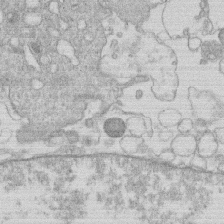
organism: Human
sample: Macrophage cells